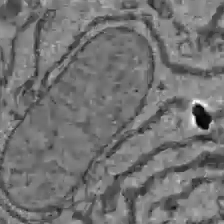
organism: C57BL Mouse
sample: Liver